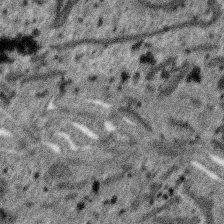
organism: Human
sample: Lung epithelial cells infected with SARS-CoV-2